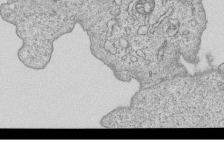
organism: Human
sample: MDA-MB-231 cells